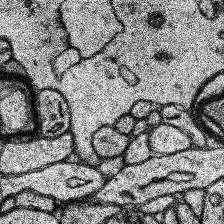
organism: Human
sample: Temporal Lobe